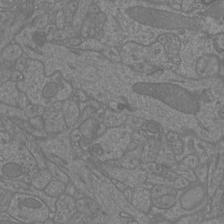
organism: Mouse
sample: Cortical neurons